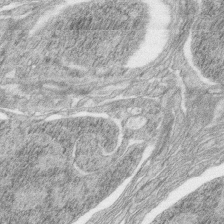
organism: Zebrafish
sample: synaptic ribbons in rod cells and cone cells